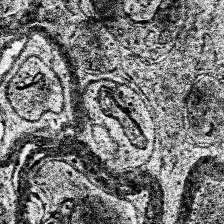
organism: Human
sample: Temporal Lobe